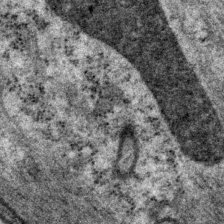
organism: P. pacificus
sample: Pharynx